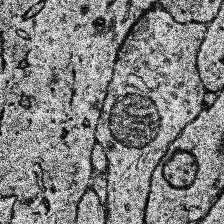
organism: Human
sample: Temporal Lobe